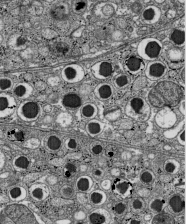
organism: C57BL Mouse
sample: Pancreatic islet